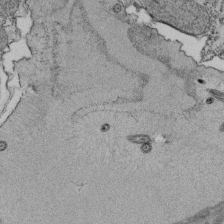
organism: Tetrahymena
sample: Cilia in tetrahymena